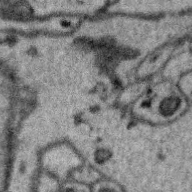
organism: Zebra finch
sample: Brain